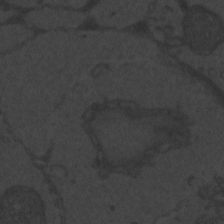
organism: Zebrafish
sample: Macrophage infected with Toxoplasma gondii